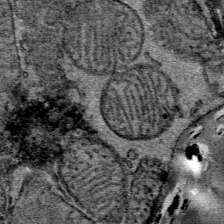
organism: Mouse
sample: Mouse Salivary gland